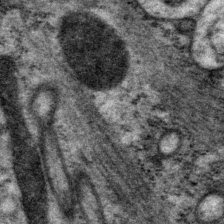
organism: P. pacificus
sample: Pharynx